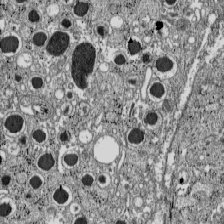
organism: C57BL Mouse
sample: Pancreatic islet